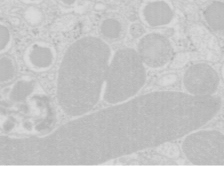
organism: Mouse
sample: Pancreas